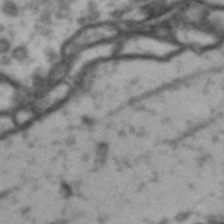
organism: Drosophila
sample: Brain